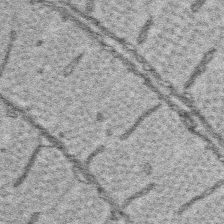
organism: Platynereis dumerilii